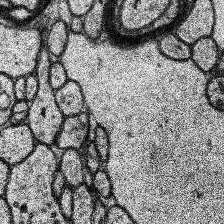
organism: Human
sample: Temporal Lobe